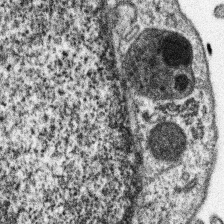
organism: Human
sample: HeLa cells